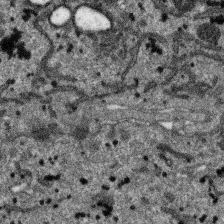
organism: Human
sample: Lung epithelial cells infected with SARS-CoV-2